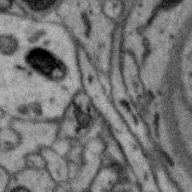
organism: Zebra finch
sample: Brain